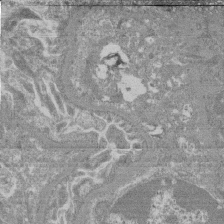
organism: Mouse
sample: Glomerulus